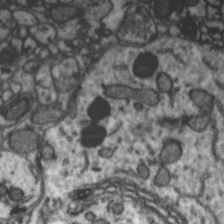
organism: Zebra finch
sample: Brain